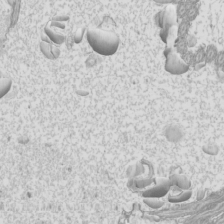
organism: Mouse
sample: Cilia; mouse epididymis